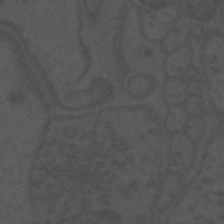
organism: Mouse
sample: Suprachiasmatic nucleus